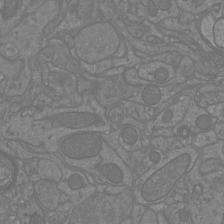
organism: Mouse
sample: Cortical neurons